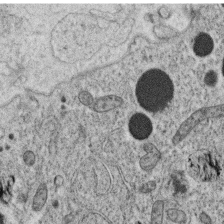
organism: C. elegans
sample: C. elegans oocyte; sperm cells